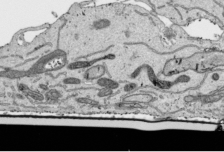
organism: Human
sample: Mitochondria in HCT116 cells